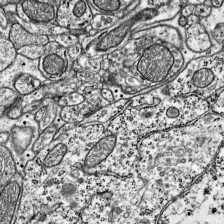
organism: Mouse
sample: Visual Cortex